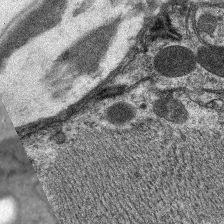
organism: C. elegans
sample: Pharynx